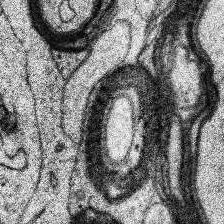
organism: Human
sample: Temporal Lobe